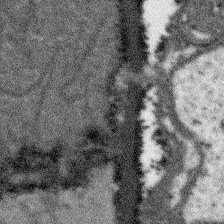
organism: Arabidopsis thaliana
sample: Root tip